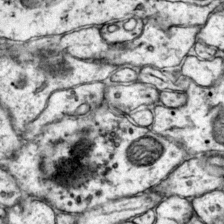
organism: Mouse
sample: Primary visual cortex